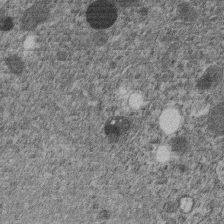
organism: C. elegans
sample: C. elegans embryo early stage